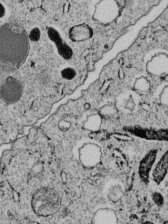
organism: C. elegans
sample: C. elegans embryo early stage